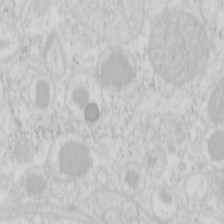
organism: Mouse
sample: Pancreas